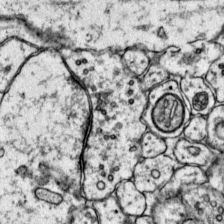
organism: Mouse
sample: Primary visual cortex